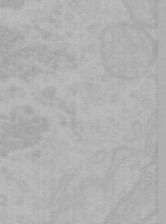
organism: Mouse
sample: Choroid plexus